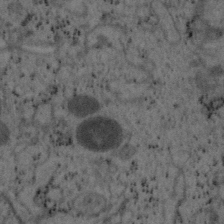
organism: Human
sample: HeLa cells